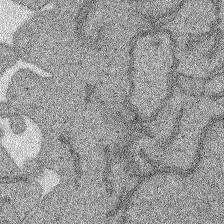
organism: Human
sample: HeLa cells